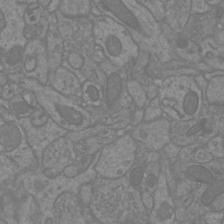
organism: Mouse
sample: Cortical neurons